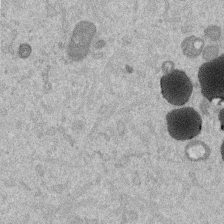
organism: Mouse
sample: Dividing mouse embryo 1 cell stage